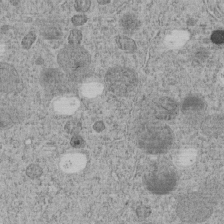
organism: C. elegans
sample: C. elegans embryo early stage